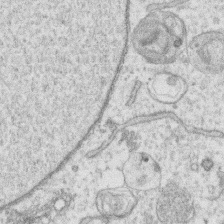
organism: Human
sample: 1205lu cells